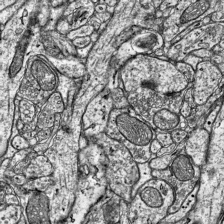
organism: Mouse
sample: Visual Cortex